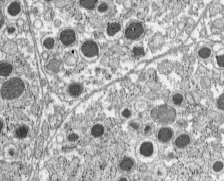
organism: C57BL Mouse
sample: Pancreatic islet